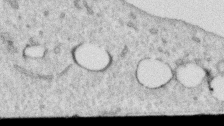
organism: Human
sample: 1205lu cells